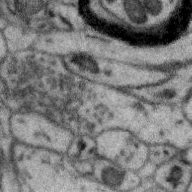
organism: Zebra finch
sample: Brain